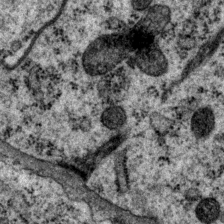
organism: P. pacificus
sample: Pharynx